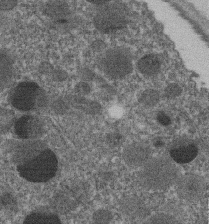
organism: C. elegans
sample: C. elegans embryo early stage